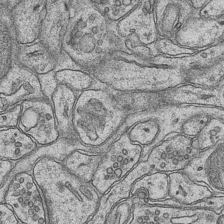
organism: Mouse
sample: CA1 Hippocampus